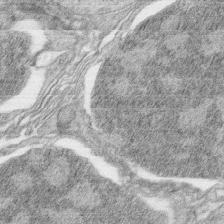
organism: Zebrafish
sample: synaptic ribbons in rod cells and cone cells